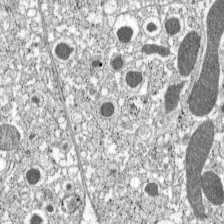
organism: C57BL Mouse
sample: Pancreatic islet